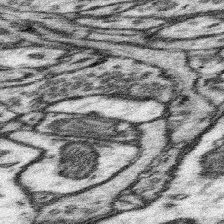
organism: Mouse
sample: Somatosensory cortex neuropil